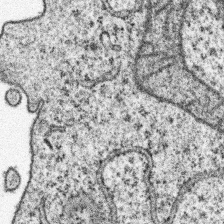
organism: Human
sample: HeLa cells